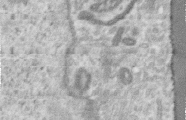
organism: Human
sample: Centriole in RPE cells